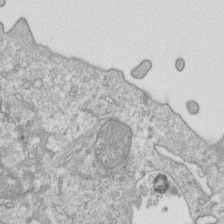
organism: Mouse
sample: Activated OT-1 CD8+ T cells